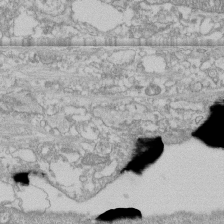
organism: Human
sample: CRL-1474